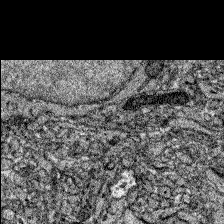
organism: Zebrafish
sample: Larval olfactory bulb